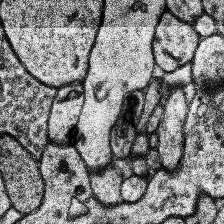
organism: Human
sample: Temporal Lobe